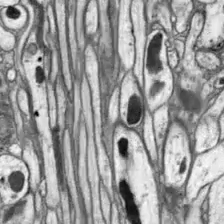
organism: Drosophila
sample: Optic lobe